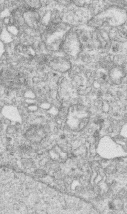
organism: Human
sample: HeLa cell HIV synapse